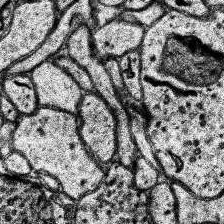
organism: Human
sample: Temporal Lobe